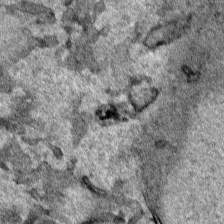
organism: Human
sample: Mitochondria in HCT116 cells